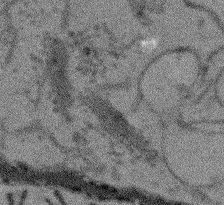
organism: Arabidopsis thaliana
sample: Root tip